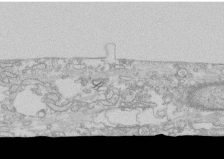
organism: Human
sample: CRL-1474